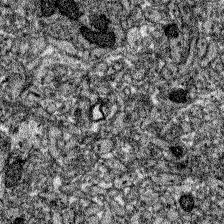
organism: Zebrafish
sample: Larval olfactory bulb